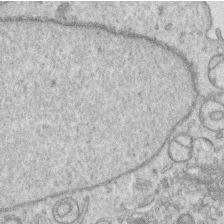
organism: Human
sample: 1205lu cells